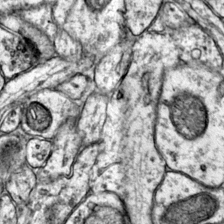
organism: Mouse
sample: Primary visual cortex